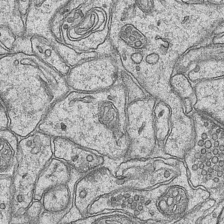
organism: Mouse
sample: CA1 Hippocampus